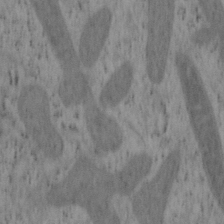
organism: Mouse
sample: OT-I killer T cells with ID8 ovarian cancer cells